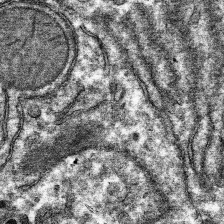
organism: Mouse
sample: Mouse hepatocytes